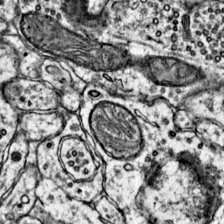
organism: Mouse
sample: Primary visual cortex